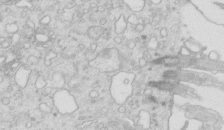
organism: Mouse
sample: Multiciliated cells